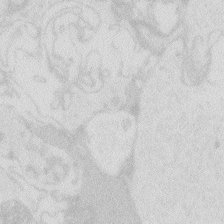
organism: Zebrafish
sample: Macrophage